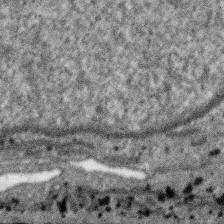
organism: Human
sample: Lung epithelial cells infected with SARS-CoV-2